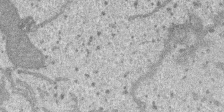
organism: Human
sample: Lung epithelial cells infected with SARS-CoV-2